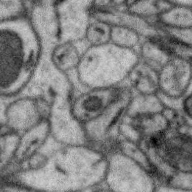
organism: Zebra finch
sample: Brain